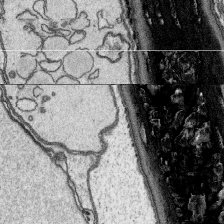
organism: Platynereis dumerilii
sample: Parapodia